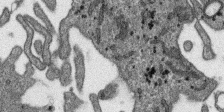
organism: Human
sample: Lung epithelial cells infected with SARS-CoV-2